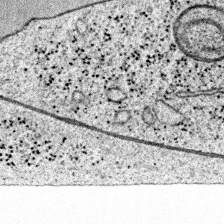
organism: Human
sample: HeLa cells